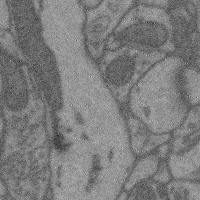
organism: Mouse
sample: Cerebral cortex